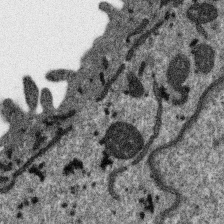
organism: Human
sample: Lung epithelial cells infected with SARS-CoV-2